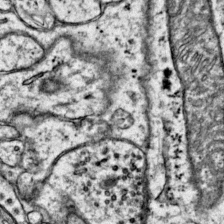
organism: Mouse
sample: Primary visual cortex